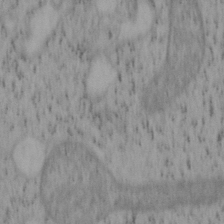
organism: Mouse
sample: OT-I killer T cells with ID8 ovarian cancer cells